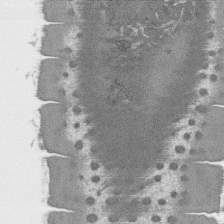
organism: C. elegans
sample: AFD neurons C. elegans